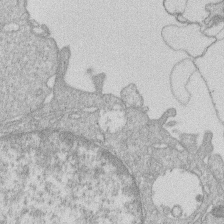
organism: Human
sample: Macrophage cells